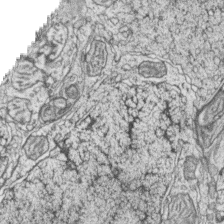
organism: Zebrafish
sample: synaptic ribbons in rod cells and cone cells